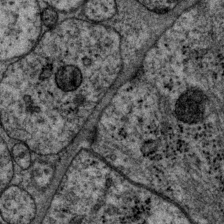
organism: P. pacificus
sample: Pharynx